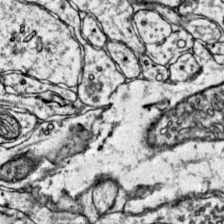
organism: Mouse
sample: Primary visual cortex